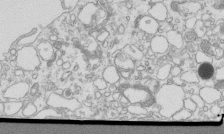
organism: Mouse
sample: Macrophages